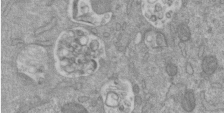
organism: Mouse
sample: ED-1 cell nuclei; centrioles